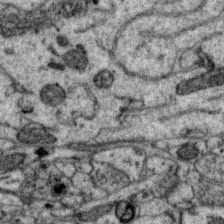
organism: Zebra finch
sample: Brain